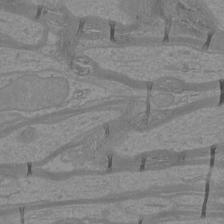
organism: Mouse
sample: Cortical neurons